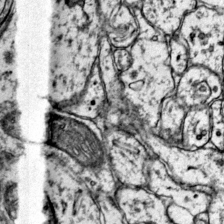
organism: Mouse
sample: Primary visual cortex